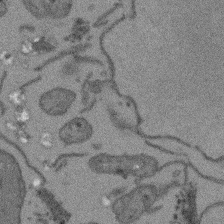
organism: Arabidopsis thaliana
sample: Root tip